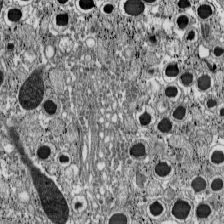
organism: C57BL Mouse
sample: Pancreatic islet